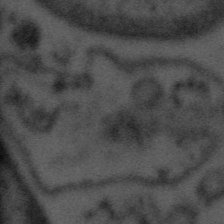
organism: Tuwongella immobilis